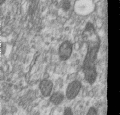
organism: Human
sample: Centriole in RPE cells